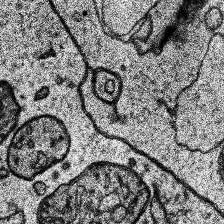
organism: Human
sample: Temporal Lobe